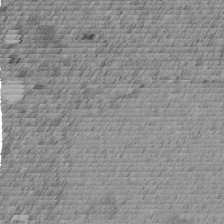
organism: C. elegans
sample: C. elegans embryo early stage